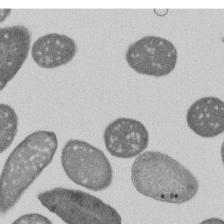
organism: E. coli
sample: Bacterial nucleoid